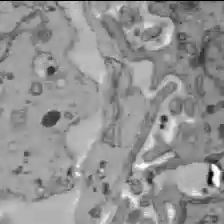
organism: C57BL Mouse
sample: Liver